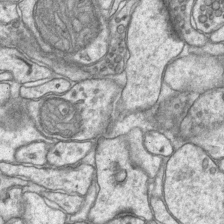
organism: Mouse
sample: CA1 Hippocampus